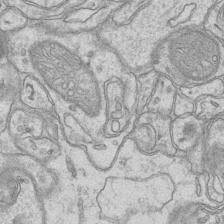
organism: Mouse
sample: CA1 Hippocampus